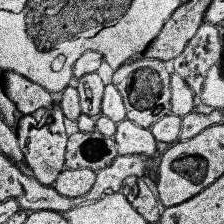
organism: Human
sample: Temporal Lobe